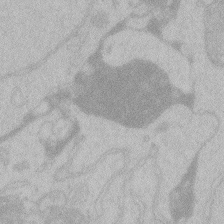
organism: Zebrafish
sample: Macrophage infected with Toxoplasma gondii